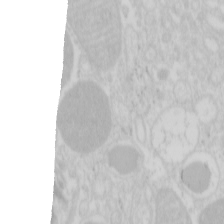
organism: Mouse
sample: Pancreas